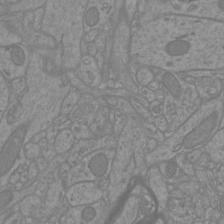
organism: Mouse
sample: Cortical neurons